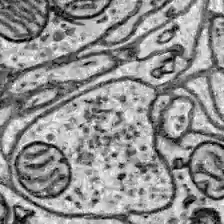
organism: Zebrafish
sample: Brain